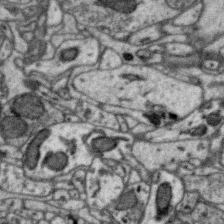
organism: Zebra finch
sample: Brain